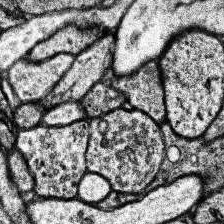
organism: Human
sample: Temporal Lobe